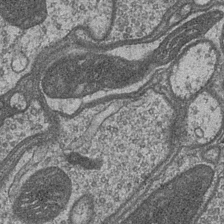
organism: Drosophila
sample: Optic medulla